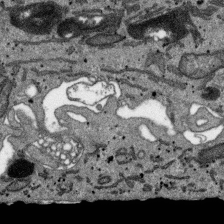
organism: Human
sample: Lung epithelial cells, uninfected (mock) control